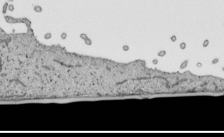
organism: Human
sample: Mitochondria in HCT116 cells